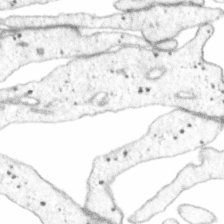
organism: Human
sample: HeLa cells